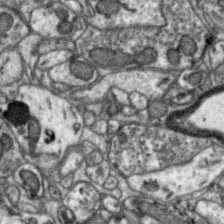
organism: Zebra finch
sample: Brain